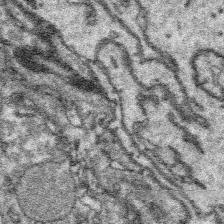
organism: Platynereis dumerilii